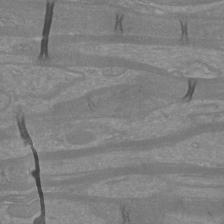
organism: Mouse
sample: Cortical neurons